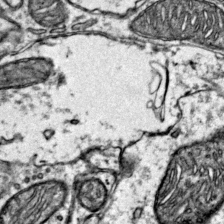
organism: Mouse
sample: Primary visual cortex